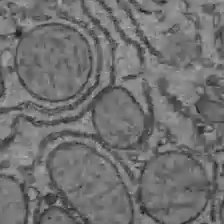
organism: C57BL Mouse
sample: Liver